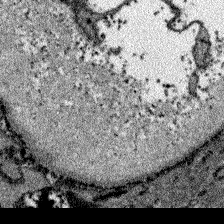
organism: Zebrafish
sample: Larval olfactory bulb